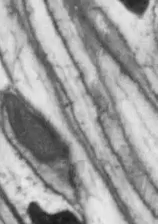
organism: Drosophila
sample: Optic lobe